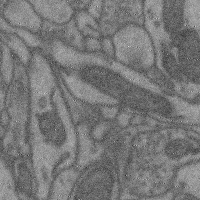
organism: Mouse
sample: Cerebral cortex